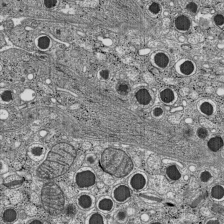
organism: C57BL Mouse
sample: Pancreatic islet